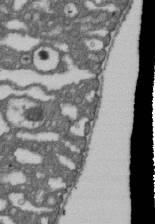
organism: Drosophila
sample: Nephrocyte